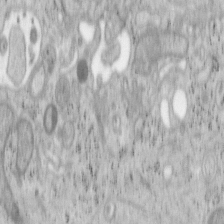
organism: Human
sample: HeLa cells